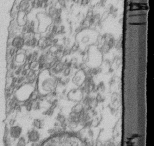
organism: Mouse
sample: Cilia; retinal pigment epithelium